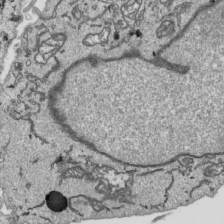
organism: Human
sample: Mitochondria in HCT116 cells